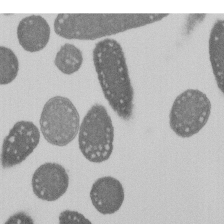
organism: E. coli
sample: Bacterial nucleoid